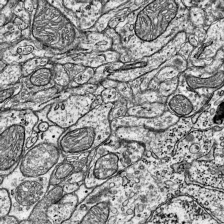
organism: Mouse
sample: Visual Cortex